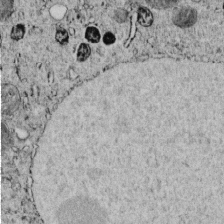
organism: C. elegans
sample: C. elegans embryo early stage